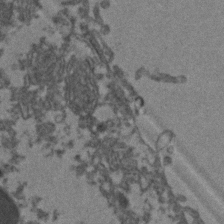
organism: Zebrafish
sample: Zebrafish embryo